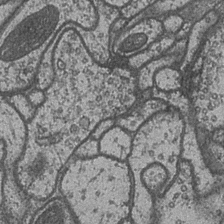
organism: Drosophila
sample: Optic medulla